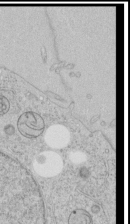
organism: Human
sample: Mitochondria in HCT116 cells